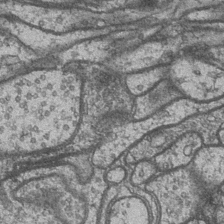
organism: Drosophila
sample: Optic medulla